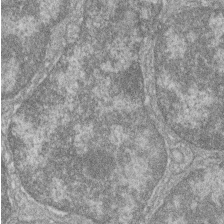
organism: Zebrafish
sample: Cilia; retinal pigment epithelium